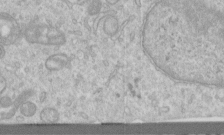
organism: Human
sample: Centriole in RPE cells